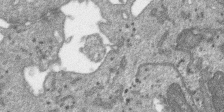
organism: Human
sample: Lung epithelial cells infected with SARS-CoV-2